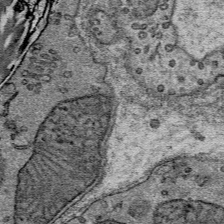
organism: Mouse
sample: Mouse Salivary gland